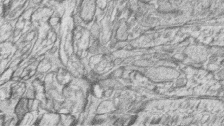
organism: Zebrafish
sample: synaptic ribbons in rod cells and cone cells